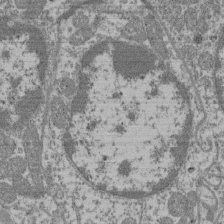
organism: Mouse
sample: Glomerulus